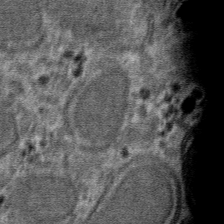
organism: Mouse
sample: Mouse hepatocytes